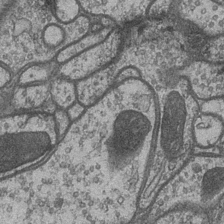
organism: Drosophila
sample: Optic medulla